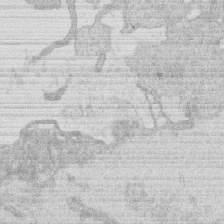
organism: Human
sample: Macrophage cells